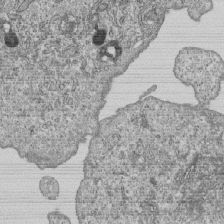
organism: Human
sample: MDA-MB-231 cells